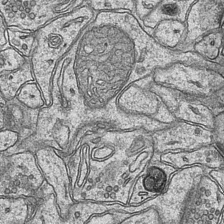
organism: Mouse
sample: CA1 Hippocampus